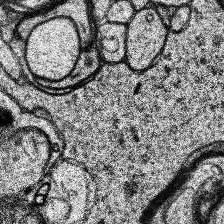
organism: Human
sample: Temporal Lobe